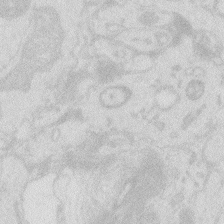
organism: Zebrafish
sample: Macrophage